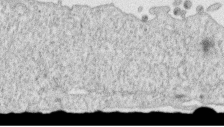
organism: Human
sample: HeLa cell HIV synapse